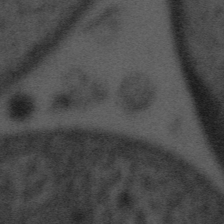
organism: Tuwongella immobilis